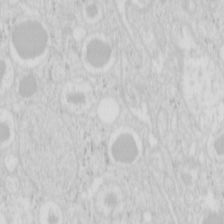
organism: Mouse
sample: Pancreas